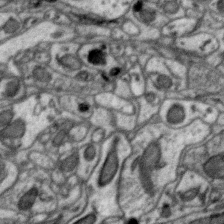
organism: Zebra finch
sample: Brain